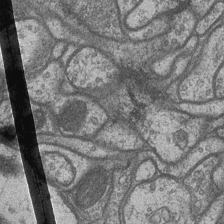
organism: Drosophila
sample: Optic medulla